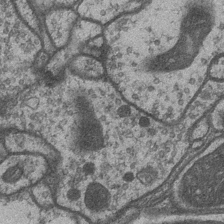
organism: Drosophila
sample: Optic medulla